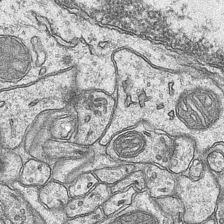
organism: Mouse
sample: CA1 Hippocampus